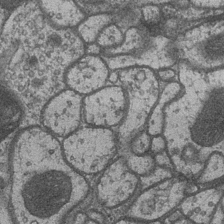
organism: Drosophila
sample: Optic medulla